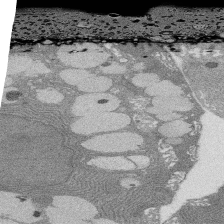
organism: Rat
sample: Salivary granule